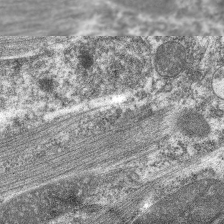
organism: C. elegans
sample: Pharynx